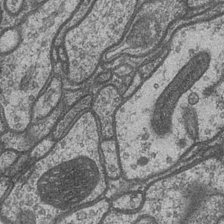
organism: Drosophila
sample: Optic medulla